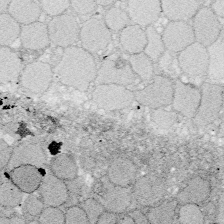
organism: Zebrafish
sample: Whole-Brain